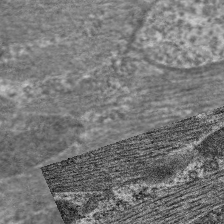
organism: C. elegans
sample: Pharynx